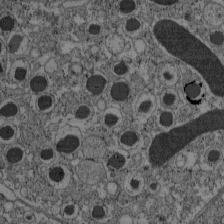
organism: C57BL Mouse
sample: Pancreatic islet